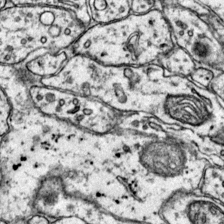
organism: Mouse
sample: Primary visual cortex